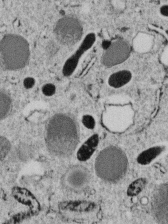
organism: C. elegans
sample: C. elegans embryo early stage